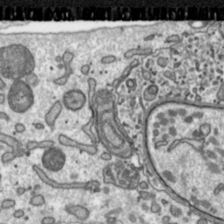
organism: Toxoplasma gondii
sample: Parasites in a vacuole inside a host cell